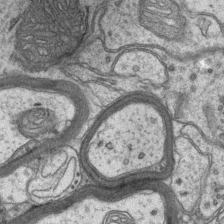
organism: Mouse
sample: CA1 Hippocampus